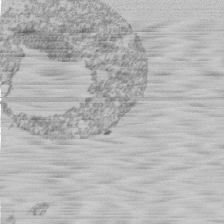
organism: Mouse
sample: Activated Pmel transgenic CD8+ T Cells